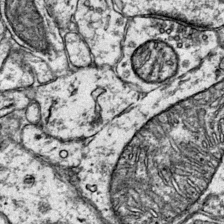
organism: Mouse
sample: Primary visual cortex